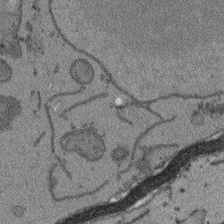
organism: Arabidopsis thaliana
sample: Root tip